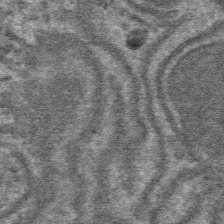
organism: Mouse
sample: Mouse hepatocytes